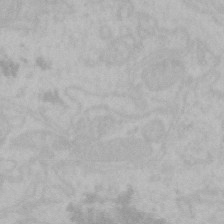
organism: Mouse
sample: Choroid plexus